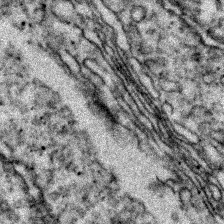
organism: Zebrafish